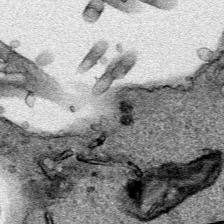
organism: Human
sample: Mitochondria in HCT116 cells